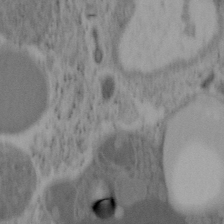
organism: Mouse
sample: OT-I killer T cells with ID8 ovarian cancer cells